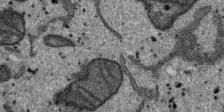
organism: Human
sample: Lung epithelial cells, uninfected (mock) control